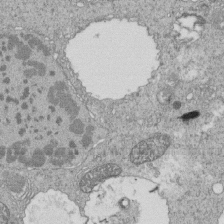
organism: Tetrahymena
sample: Cilia in tetrahymena